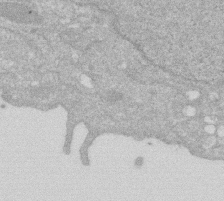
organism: Human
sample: HIV infected U937 cells